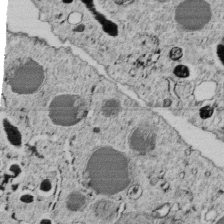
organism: C. elegans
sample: C. elegans embryo early stage